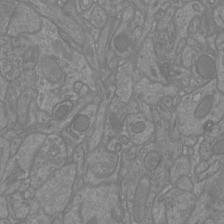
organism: Mouse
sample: Cortical neurons